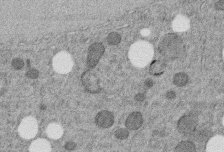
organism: C. elegans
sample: C. elegans embryo early stage